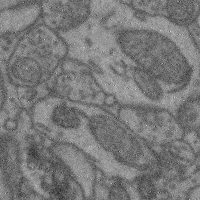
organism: Mouse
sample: Cerebral cortex